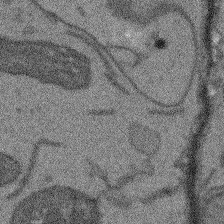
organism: Arabidopsis thaliana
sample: Root tip